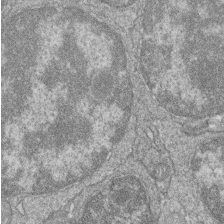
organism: Zebrafish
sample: Cilia; retinal pigment epithelium